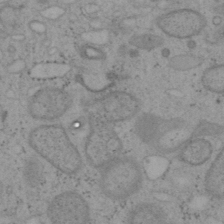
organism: Mouse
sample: OT-I killer T cells with ID8 ovarian cancer cells